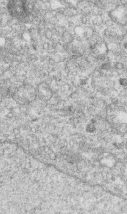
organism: Human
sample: HeLa cell HIV synapse